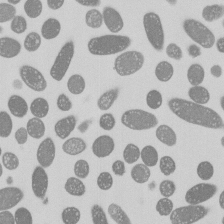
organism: E. coli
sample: Bacterial nucleoid